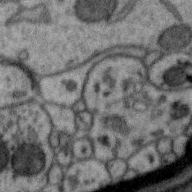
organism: Zebra finch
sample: Brain